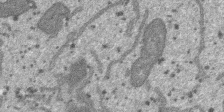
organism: Human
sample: Lung epithelial cells infected with SARS-CoV-2